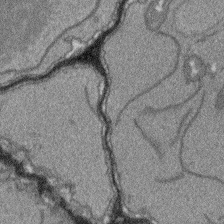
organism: Arabidopsis thaliana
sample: Root tip